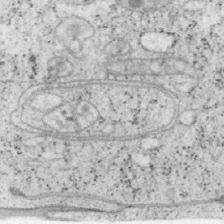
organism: Mouse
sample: OT-I killer T cells with ID8 ovarian cancer cells